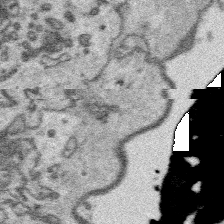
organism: Platynereis dumerilii